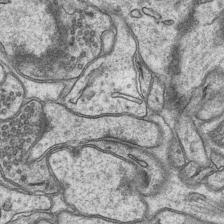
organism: Mouse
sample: CA1 Hippocampus